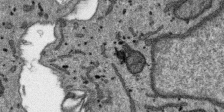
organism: Human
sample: Lung epithelial cells, uninfected (mock) control